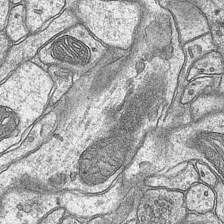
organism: Mouse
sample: CA1 Hippocampus